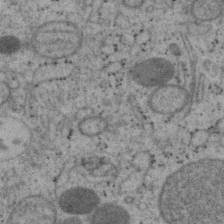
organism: Human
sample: HeLa cells